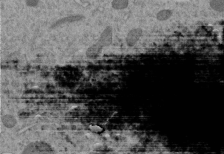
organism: C. elegans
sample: C. elegans embryo early stage